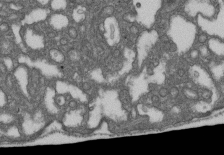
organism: Drosophila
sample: Nephrocyte